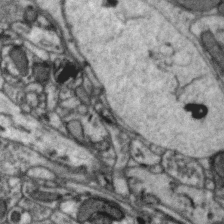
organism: Zebra finch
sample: Brain